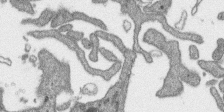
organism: Human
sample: Lung epithelial cells infected with SARS-CoV-2